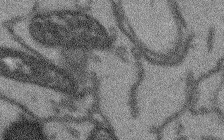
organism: Arabidopsis thaliana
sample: Root tip